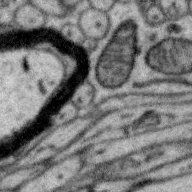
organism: Zebra finch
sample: Brain